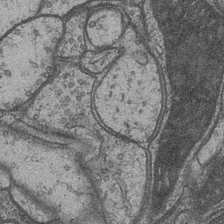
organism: Drosophila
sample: Optic medulla